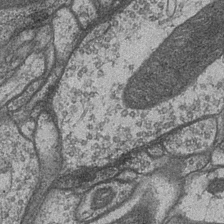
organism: Drosophila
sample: Optic medulla